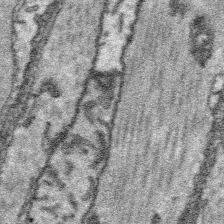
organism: Platynereis dumerilii